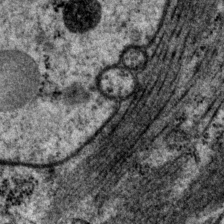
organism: P. pacificus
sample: Pharynx